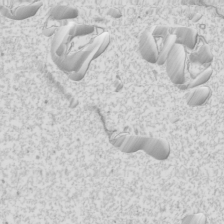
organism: Mouse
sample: Cilia; mouse epididymis